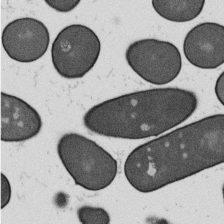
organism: B. subtilis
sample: Bacterial spore